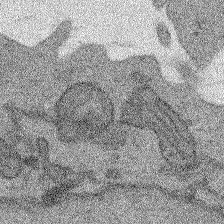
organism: Human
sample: HeLa cells